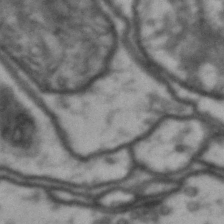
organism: Drosophila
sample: Brain